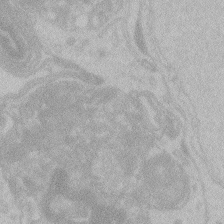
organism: Zebrafish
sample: Macrophage infected with Toxoplasma gondii